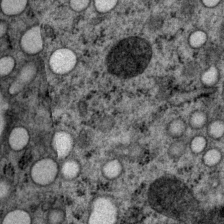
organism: P. pacificus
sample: Pharynx